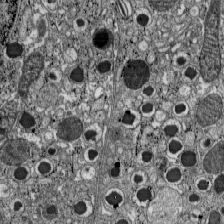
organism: C57BL Mouse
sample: Pancreatic islet